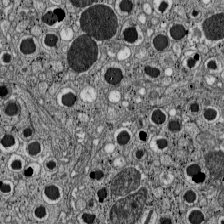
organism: C57BL Mouse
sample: Pancreatic islet